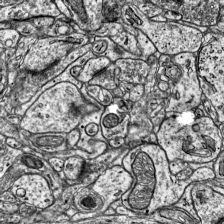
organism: Mouse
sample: Visual Cortex